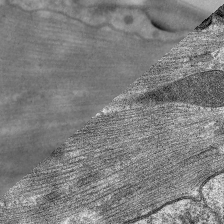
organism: C. elegans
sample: Pharynx